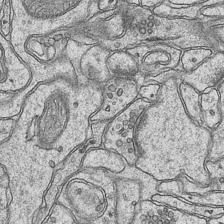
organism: Mouse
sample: CA1 Hippocampus